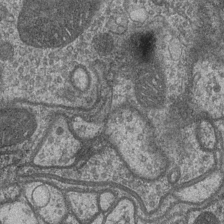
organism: Drosophila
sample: Optic medulla